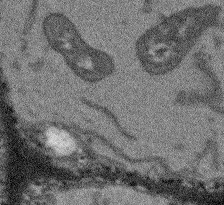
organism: Arabidopsis thaliana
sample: Root tip